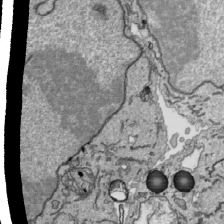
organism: Human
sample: Mitochondria in HCT116 cells